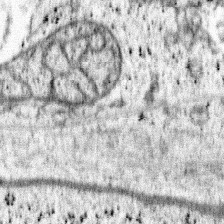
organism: Human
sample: HeLa cells